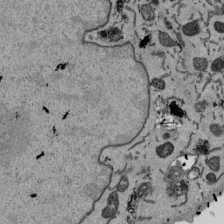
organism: Mouse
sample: ED-1 cell nuclei; centrioles